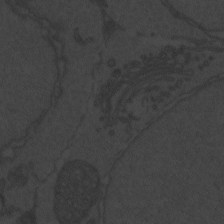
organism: Zebrafish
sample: Macrophage infected with Toxoplasma gondii